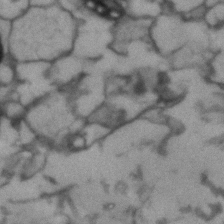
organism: Human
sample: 1205lu cells